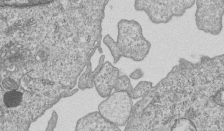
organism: Human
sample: MDA-MB-231 cells